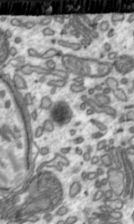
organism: Toxoplasma gondii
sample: Parasites in a vacuole inside a host cell